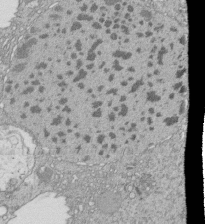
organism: Tetrahymena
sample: Cilia in tetrahymena